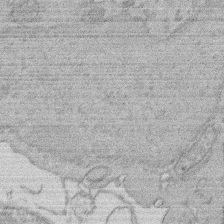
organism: Rat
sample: Salivary granule